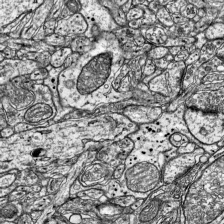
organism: Mouse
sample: Visual Cortex